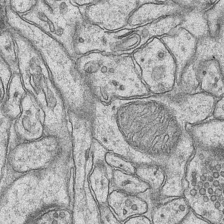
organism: Mouse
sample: CA1 Hippocampus